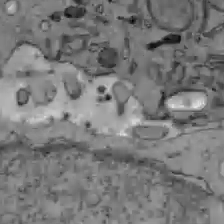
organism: C57BL Mouse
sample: Liver